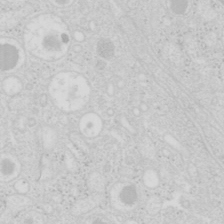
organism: Mouse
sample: Pancreas